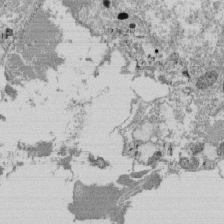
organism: Tetrahymena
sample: Cilia in tetrahymena